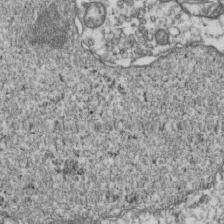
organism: Human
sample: Activated Jurkat CD4+ T cells